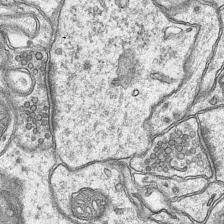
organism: Mouse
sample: CA1 Hippocampus